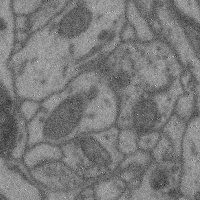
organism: Mouse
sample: Cerebral cortex